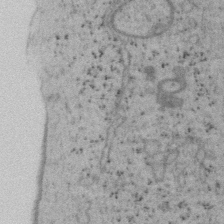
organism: Human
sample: HeLa cells